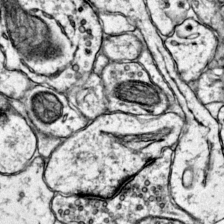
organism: Mouse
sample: Primary visual cortex